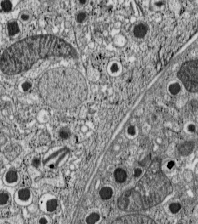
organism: C57BL Mouse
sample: Pancreatic islet